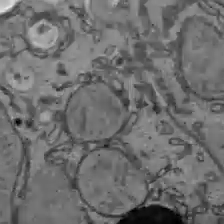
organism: C57BL Mouse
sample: Liver